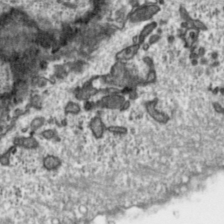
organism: Toxoplasma gondii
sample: Parasites in a vacuole inside a host cell